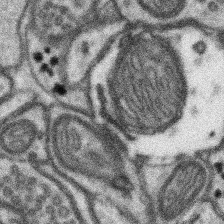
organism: Mouse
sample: Somatosensory cortex neuropil